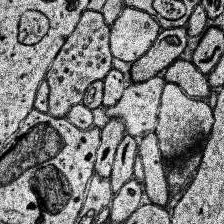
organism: Human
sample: Temporal Lobe